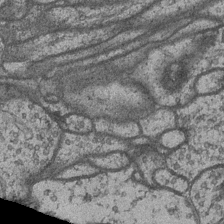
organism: Drosophila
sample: Optic medulla